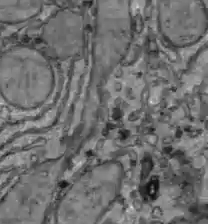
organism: C57BL Mouse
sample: Liver